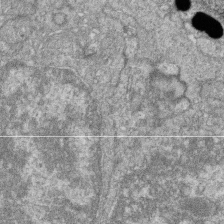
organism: Zebrafish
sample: Cilia; retinal pigment epithelium